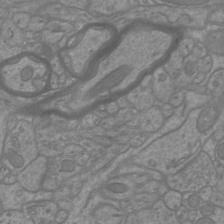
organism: Mouse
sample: Cortical neurons